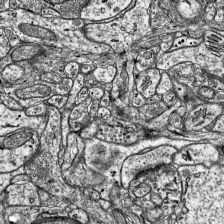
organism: Mouse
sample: Visual Cortex